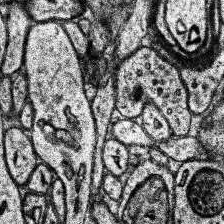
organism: Human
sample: Temporal Lobe